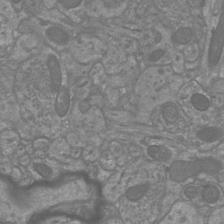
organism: Mouse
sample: Cortical neurons